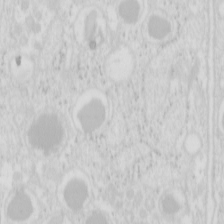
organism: Mouse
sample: Pancreas